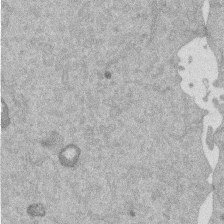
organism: Mouse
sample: Dividing mouse embryo 1 cell stage